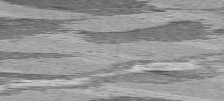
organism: C57BL Mouse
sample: Heart